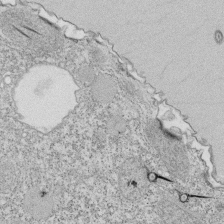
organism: Tetrahymena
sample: Cilia in tetrahymena